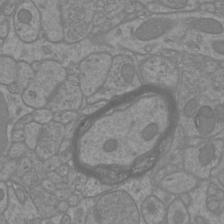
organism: Mouse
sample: Cortical neurons